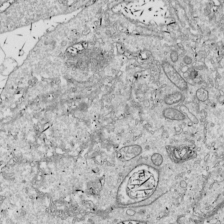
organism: Drosophila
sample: Cell division; meiosis; drosophila spermatocytes